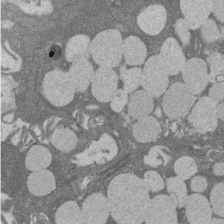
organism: Rat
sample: Salivary granule